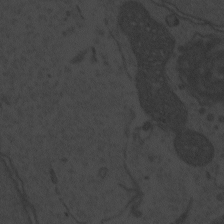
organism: Zebrafish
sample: Macrophage infected with Toxoplasma gondii